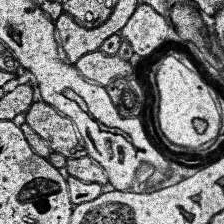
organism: Human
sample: Temporal Lobe